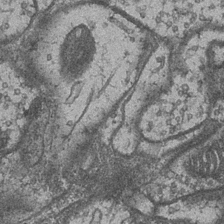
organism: Drosophila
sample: Optic medulla